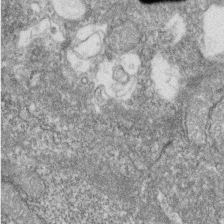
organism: Zebrafish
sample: Cilia; retinal pigment epithelium